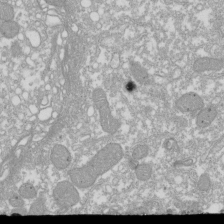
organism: Xenopus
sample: Cilia; centrioles in frog embryo cells